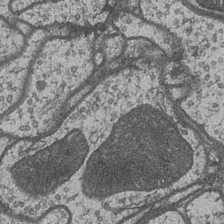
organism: Drosophila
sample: Optic medulla